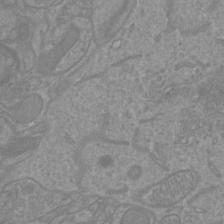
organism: Mouse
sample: Cortical neurons